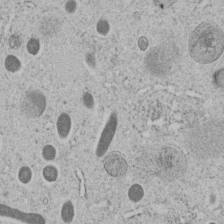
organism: C. elegans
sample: C. elegans embryo early stage